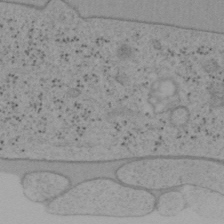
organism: Human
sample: HeLa cells